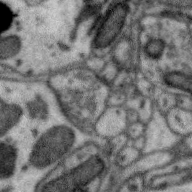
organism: Zebra finch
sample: Brain